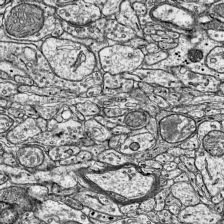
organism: Mouse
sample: Visual Cortex